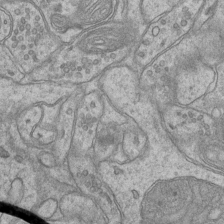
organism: Mouse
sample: CA1 Hippocampus